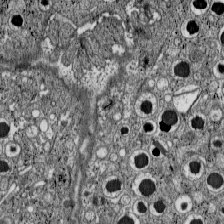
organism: C57BL Mouse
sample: Pancreatic islet